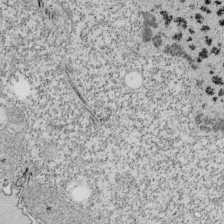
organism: Tetrahymena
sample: Cilia in tetrahymena